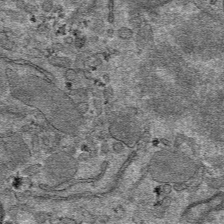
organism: Mouse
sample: Mouse hepatocytes